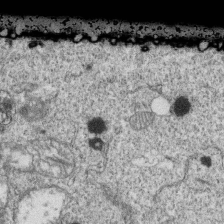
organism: Human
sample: HeLa cell HIV synapse